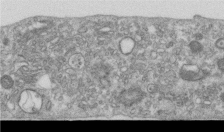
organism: Human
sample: Centriole in RPE cells